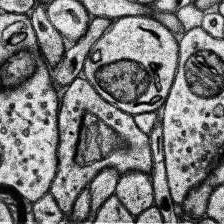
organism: Human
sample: Temporal Lobe